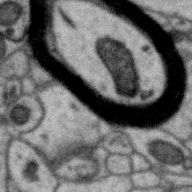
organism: Zebra finch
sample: Brain